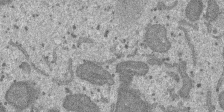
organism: Human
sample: Lung epithelial cells infected with SARS-CoV-2